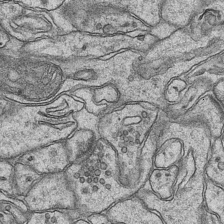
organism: Mouse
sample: CA1 Hippocampus